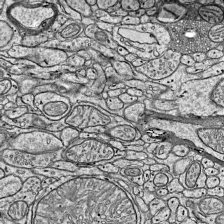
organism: Mouse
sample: Visual Cortex